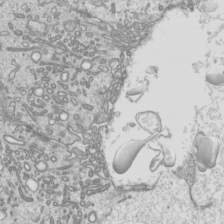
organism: Mouse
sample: Cilia; mouse epididymis